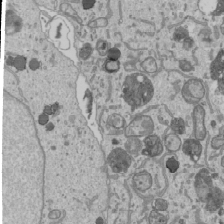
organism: Human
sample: Mitochondria in U2OS cells